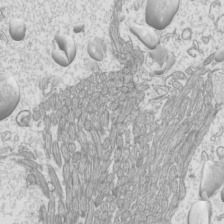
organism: Mouse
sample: Cilia; mouse epididymis